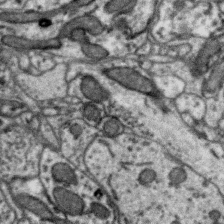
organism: Zebra finch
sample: Brain